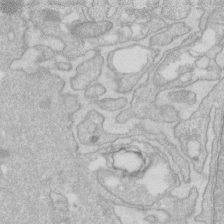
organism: Human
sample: Fibroblast cells